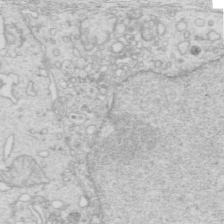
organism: Mouse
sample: Multiciliated cells